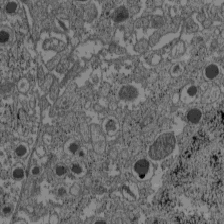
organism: C57BL Mouse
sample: Pancreatic islet